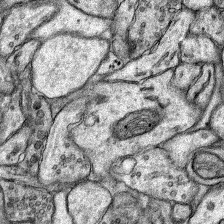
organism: Rat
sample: Hippocampus